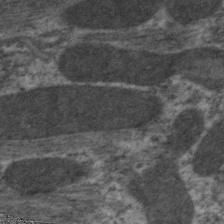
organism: C. elegans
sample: Pharynx